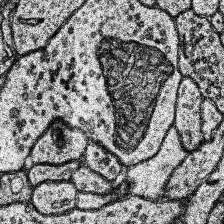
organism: Human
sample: Temporal Lobe